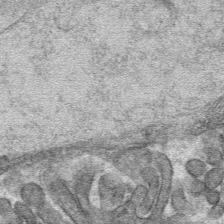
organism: Mouse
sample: Mouse hepatocytes